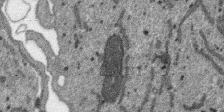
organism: Human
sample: Lung epithelial cells infected with SARS-CoV-2